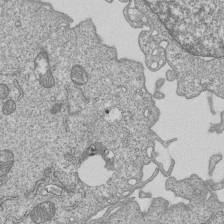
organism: Human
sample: MDA-MB-231 cells